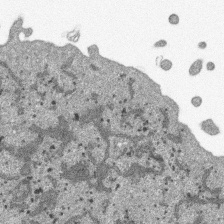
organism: Human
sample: Lung epithelial cells infected with SARS-CoV-2